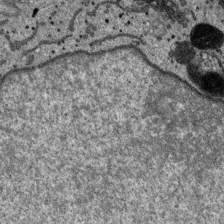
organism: Human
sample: Lung epithelial cells, uninfected (mock) control